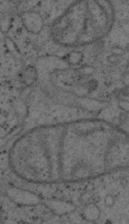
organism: Human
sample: HeLa cells